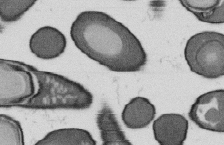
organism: B. subtilis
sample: Bacterial spore